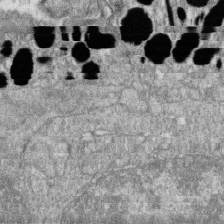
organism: Zebrafish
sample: Cilia; retinal pigment epithelium